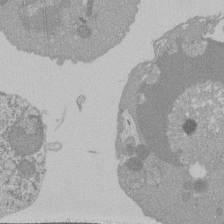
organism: Mouse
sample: Activated Pmel transgenic CD8+ T Cells